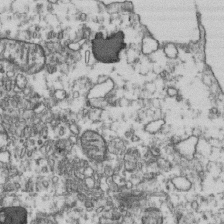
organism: Human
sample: Activated Jurkat CD4+ T cells